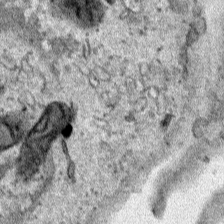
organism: Human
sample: Mitochondria in HCT116 cells